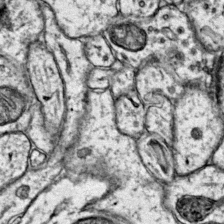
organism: Mouse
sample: Primary visual cortex